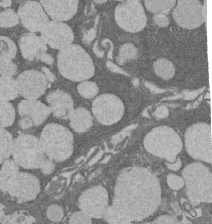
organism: Rat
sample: Salivary granule